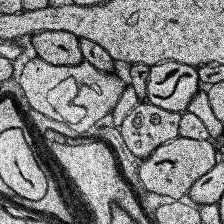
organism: Human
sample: Temporal Lobe